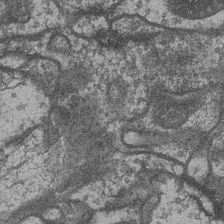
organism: Drosophila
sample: Optic medulla